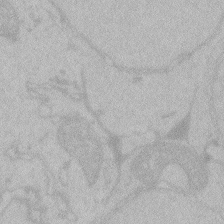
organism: Zebrafish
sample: Macrophage infected with Toxoplasma gondii